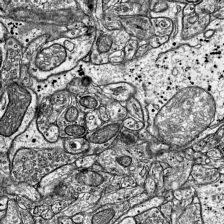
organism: Mouse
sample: Visual Cortex